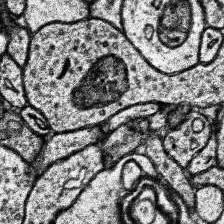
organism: Human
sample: Temporal Lobe